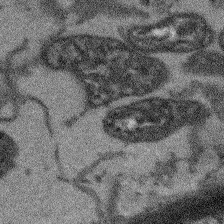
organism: Arabidopsis thaliana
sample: Root tip